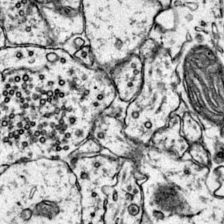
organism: Mouse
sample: Primary visual cortex